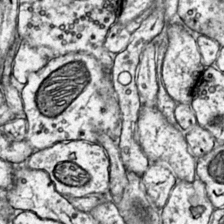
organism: Mouse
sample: Primary visual cortex